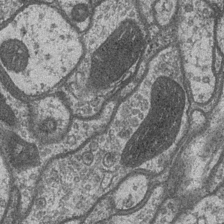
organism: Drosophila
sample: Optic medulla